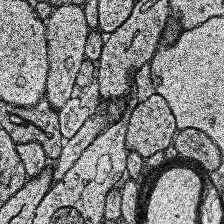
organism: Human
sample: Temporal Lobe